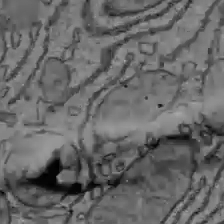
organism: C57BL Mouse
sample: Liver